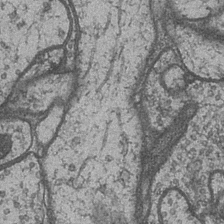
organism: Drosophila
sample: Optic medulla